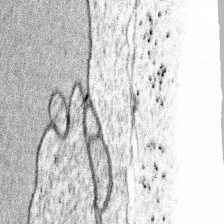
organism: Human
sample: HeLa cells